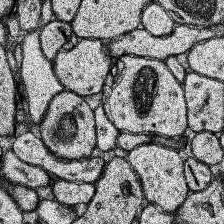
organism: Human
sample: Temporal Lobe